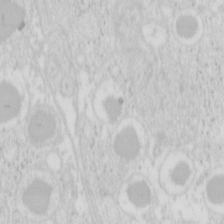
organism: Mouse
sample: Pancreas